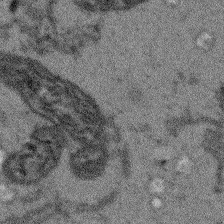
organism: Arabidopsis thaliana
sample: Root tip